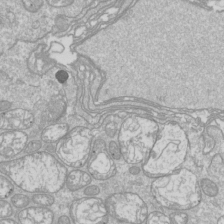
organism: Drosophila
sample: Cell division; meiosis; drosophila spermatocytes